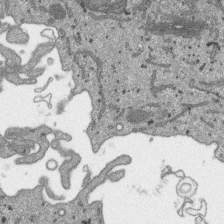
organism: Human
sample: Lung epithelial cells infected with SARS-CoV-2